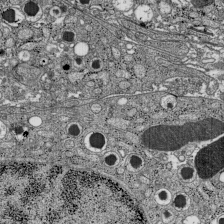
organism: C57BL Mouse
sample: Pancreatic islet